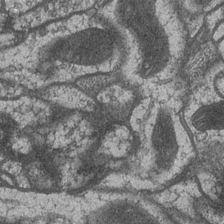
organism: Drosophila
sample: Optic medulla